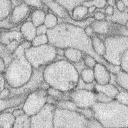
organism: Rabbit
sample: Retina